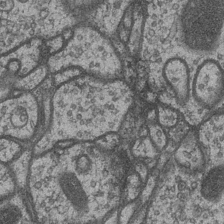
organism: Drosophila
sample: Optic medulla